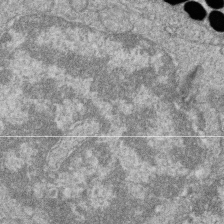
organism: Zebrafish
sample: Cilia; retinal pigment epithelium